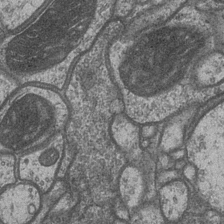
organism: Drosophila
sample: Optic medulla